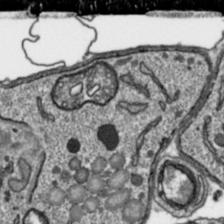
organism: Toxoplasma gondii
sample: Parasites in a vacuole inside a host cell